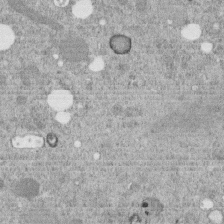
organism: C. elegans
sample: C. elegans embryo early stage